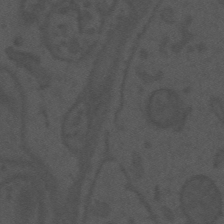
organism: Mouse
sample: Suprachiasmatic nucleus